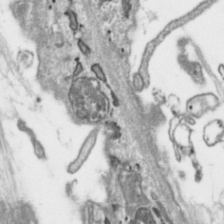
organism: Toxoplasma gondii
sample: Parasites in a vacuole inside a host cell